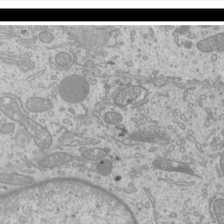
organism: Mouse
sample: Cilia; mouse epididymis